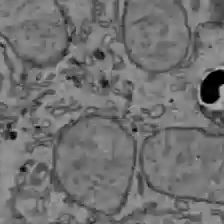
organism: C57BL Mouse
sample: Liver